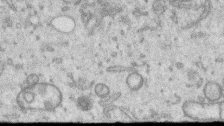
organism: Human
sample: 1205lu cells